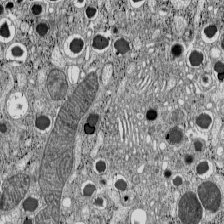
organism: C57BL Mouse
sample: Pancreatic islet